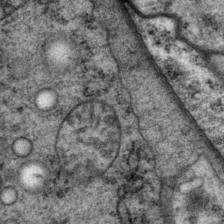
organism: P. pacificus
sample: Pharynx